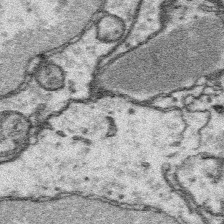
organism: Platynereis dumerilii